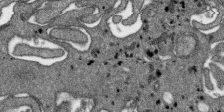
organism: Human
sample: Lung epithelial cells, uninfected (mock) control